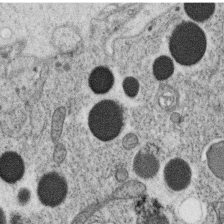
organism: C. elegans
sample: C. elegans oocyte; sperm cells